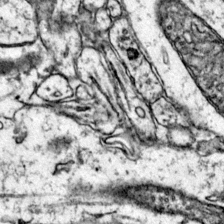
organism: Mouse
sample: Primary visual cortex